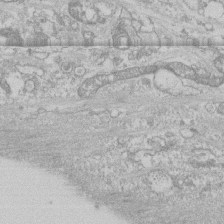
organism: Human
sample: CRL-1474